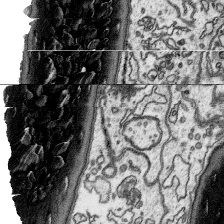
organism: Platynereis dumerilii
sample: Parapodia